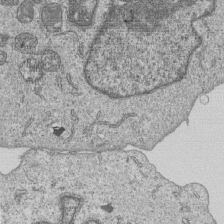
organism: Human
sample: MDA-MB-231 cells